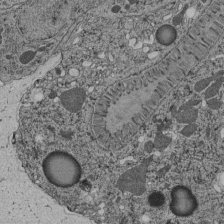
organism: C. elegans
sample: C. elegans pharynx